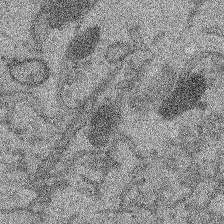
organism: Human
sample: HeLa cells